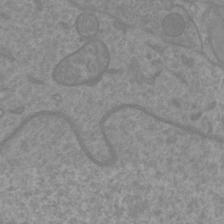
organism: Mouse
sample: Cortical neurons